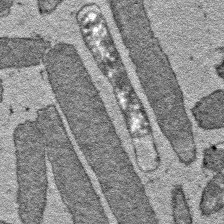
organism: E. coli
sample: E. Coli Bacteria